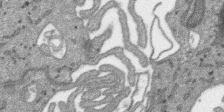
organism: Human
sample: Lung epithelial cells infected with SARS-CoV-2